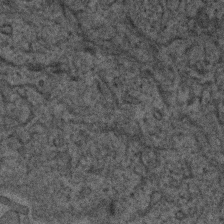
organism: Human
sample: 1205lu cells